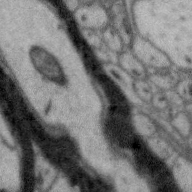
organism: Zebra finch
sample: Brain